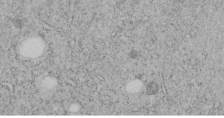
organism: C. elegans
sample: C. elegans embryo early stage